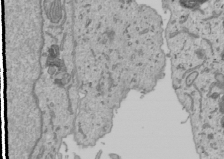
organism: Human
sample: Mitochondria in U2OS cells